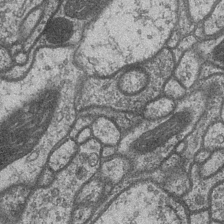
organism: Drosophila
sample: Optic medulla